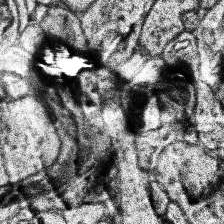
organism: Human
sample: Temporal Lobe